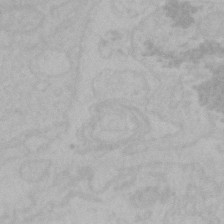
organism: Mouse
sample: Choroid plexus